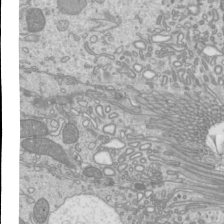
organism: Mouse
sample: Cilia; mouse epididymis